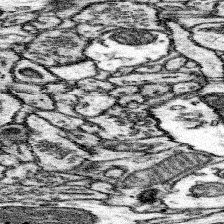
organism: Mouse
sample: Somatosensory cortex neuropil